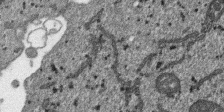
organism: Human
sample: Lung epithelial cells infected with SARS-CoV-2